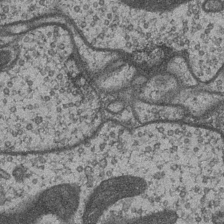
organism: Drosophila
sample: Optic medulla